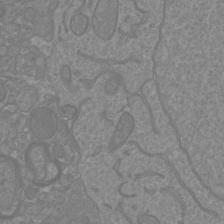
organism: Mouse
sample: Cortical neurons